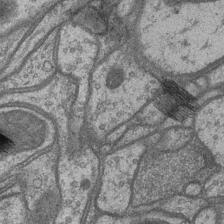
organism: Drosophila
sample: Optic medulla